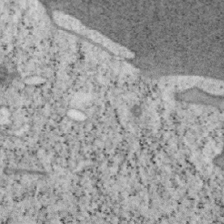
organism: Mouse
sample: OT-I killer T cells with ID8 ovarian cancer cells